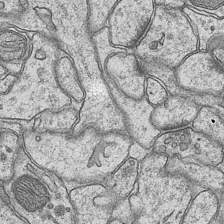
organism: Mouse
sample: CA1 Hippocampus